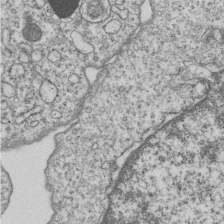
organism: Human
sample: MDA-MB-231 cells